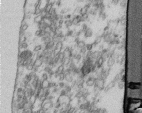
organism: Human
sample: Centriole in fibroblast cells